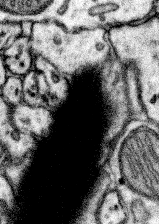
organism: Mouse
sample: Somatosensory cortex neuropil